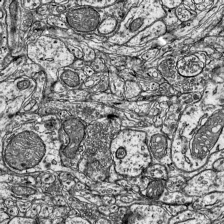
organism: Mouse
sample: Visual Cortex